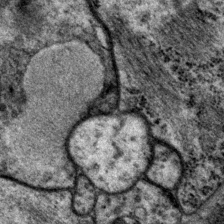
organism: P. pacificus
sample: Pharynx